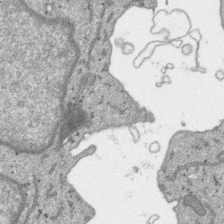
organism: Human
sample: Lung epithelial cells infected with SARS-CoV-2